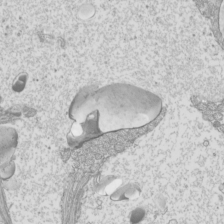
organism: Mouse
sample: Cilia; mouse epididymis